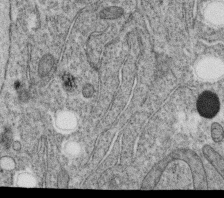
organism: C. elegans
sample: C. elegans oocyte; sperm cells